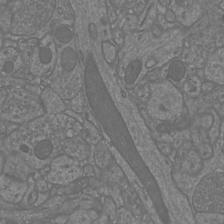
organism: Mouse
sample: Cortical neurons